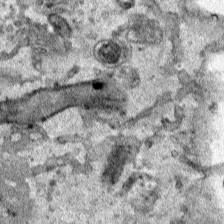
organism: Human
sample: Mitochondria in HCT116 cells